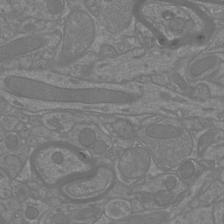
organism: Mouse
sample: Cortical neurons